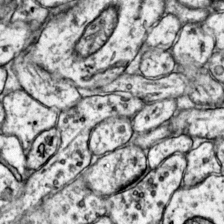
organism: Mouse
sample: Primary visual cortex